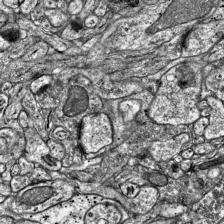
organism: Mouse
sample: Visual Cortex